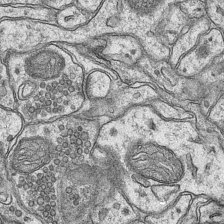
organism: Mouse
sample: CA1 Hippocampus